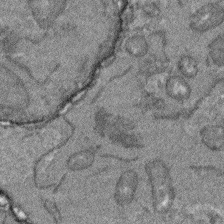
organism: Arabidopsis thaliana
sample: Root tip